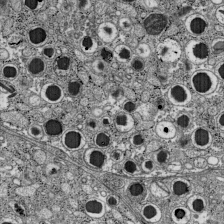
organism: C57BL Mouse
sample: Pancreatic islet